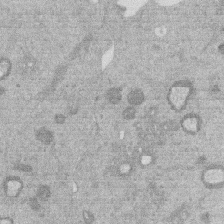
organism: Mouse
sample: Dividing mouse embryo 1 cell stage